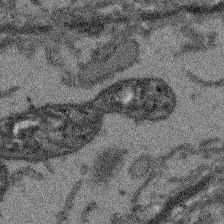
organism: Arabidopsis thaliana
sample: Root tip